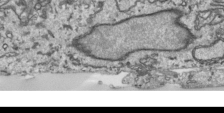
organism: Human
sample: Mitochondria in HCT116 cells